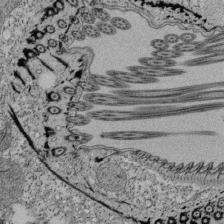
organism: Tetrahymena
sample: Cilia in tetrahymena